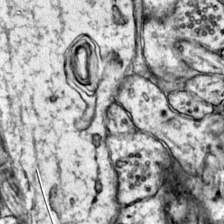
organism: Mouse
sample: Primary visual cortex